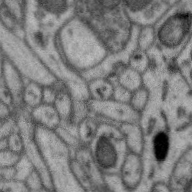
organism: Zebra finch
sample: Brain